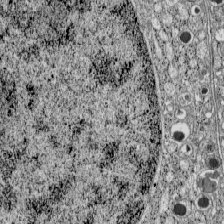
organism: C57BL Mouse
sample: Pancreatic islet